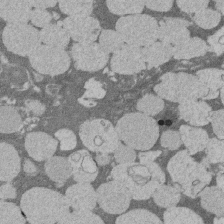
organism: Rat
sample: Salivary granule